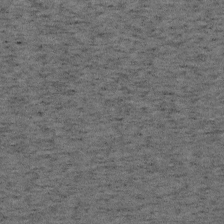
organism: Mouse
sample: OT-I killer T cells with ID8 ovarian cancer cells